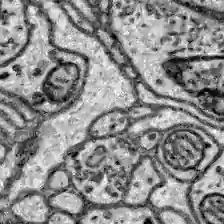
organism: Zebrafish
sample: Brain